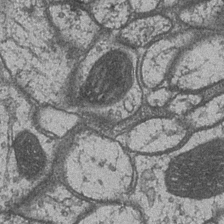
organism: Drosophila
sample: Optic medulla